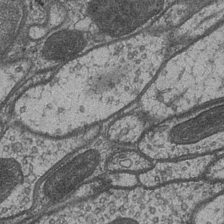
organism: Drosophila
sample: Optic medulla